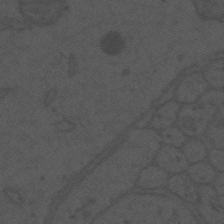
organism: Mouse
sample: Suprachiasmatic nucleus